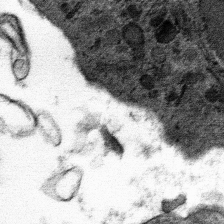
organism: Mouse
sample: Mouse hepatocytes